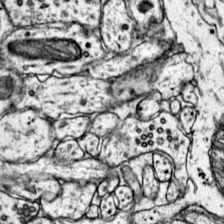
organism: Mouse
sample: Primary visual cortex